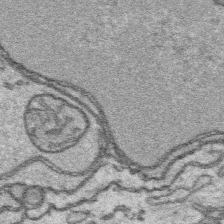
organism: Platynereis dumerilii